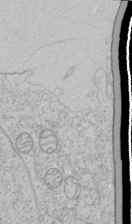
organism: Human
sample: Mitochondria in HCT116 cells